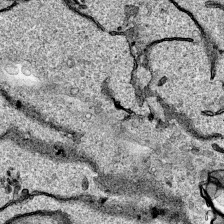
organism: Human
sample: Mitochondria in HCT116 cells